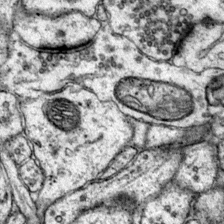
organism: Mouse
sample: Primary visual cortex